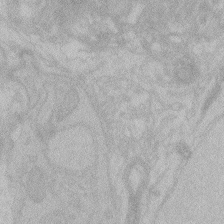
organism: Zebrafish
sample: Macrophage infected with Toxoplasma gondii